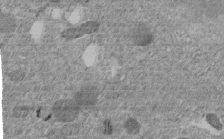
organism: C. elegans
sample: C. elegans embryo early stage